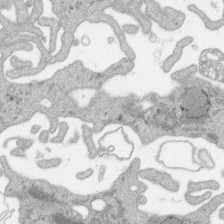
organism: Human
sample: Lung epithelial cells infected with SARS-CoV-2